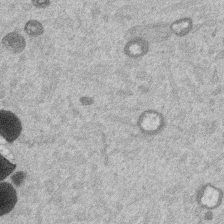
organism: Mouse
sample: Dividing mouse embryo 1 cell stage